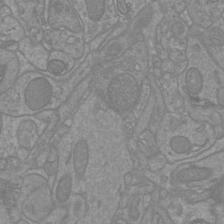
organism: Mouse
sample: Cortical neurons